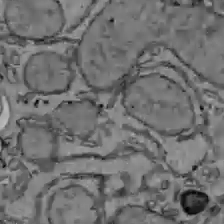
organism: C57BL Mouse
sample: Liver